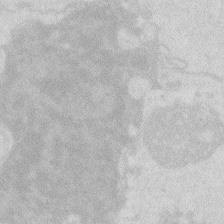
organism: Zebrafish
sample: Macrophage